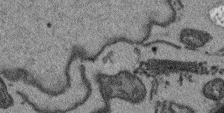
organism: Arabidopsis thaliana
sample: Root tip